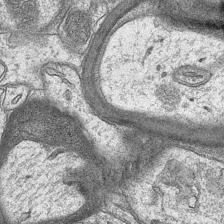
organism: Mouse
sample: CA1 Hippocampus